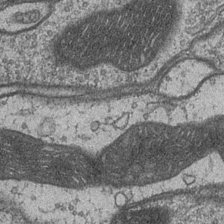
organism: Drosophila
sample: Optic medulla